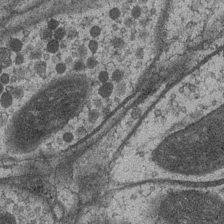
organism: Drosophila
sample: Optic medulla